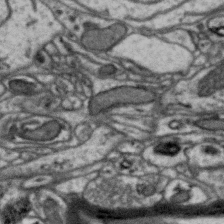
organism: Zebra finch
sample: Brain